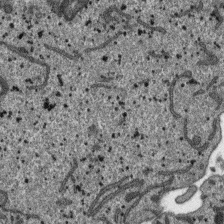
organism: Human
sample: Lung epithelial cells infected with SARS-CoV-2